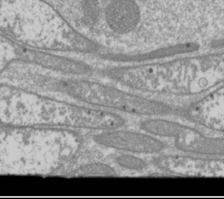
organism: Drosophila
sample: Cell division; meiosis; drosophila spermatocytes